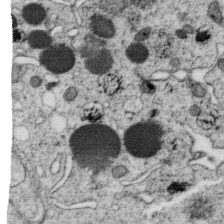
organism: C. elegans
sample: C. elegans oocyte; sperm cells